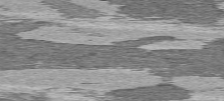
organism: C57BL Mouse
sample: Heart